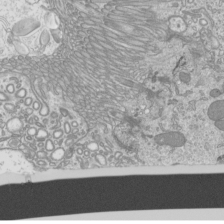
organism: Mouse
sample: Cilia; mouse epididymis